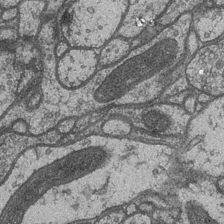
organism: Drosophila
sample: Optic medulla